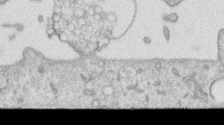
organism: Human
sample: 1205lu cells